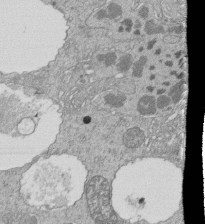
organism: Tetrahymena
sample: Cilia in tetrahymena